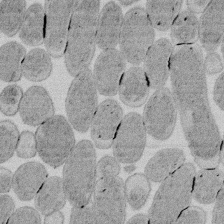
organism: E. coli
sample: Bacterial nucleoid